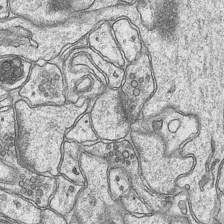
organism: Mouse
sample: CA1 Hippocampus